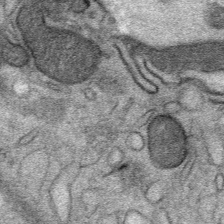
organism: Mouse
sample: Mouse Salivary gland